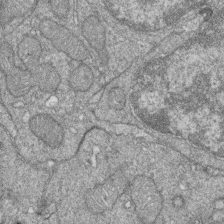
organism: Zebrafish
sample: Cilia; retinal pigment epithelium